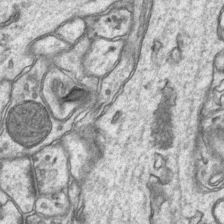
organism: Mouse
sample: CA1 Hippocampus